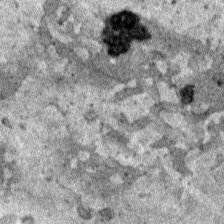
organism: Human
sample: Mitochondria in HCT116 cells